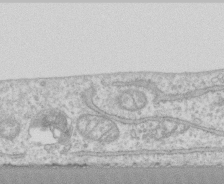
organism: Human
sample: CRL-1474